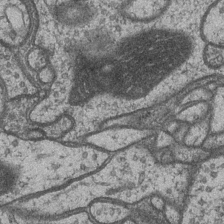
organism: Drosophila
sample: Optic medulla